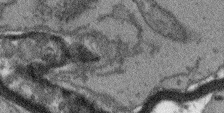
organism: Arabidopsis thaliana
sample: Root tip